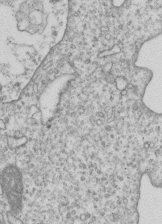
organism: Human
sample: MDA-MB-231 cells